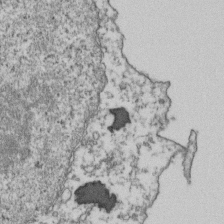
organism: Human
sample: Activated Jurkat CD4+ T cells